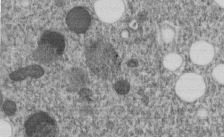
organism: C. elegans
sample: C. elegans embryo early stage